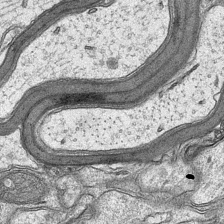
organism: Mouse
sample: CA1 Hippocampus